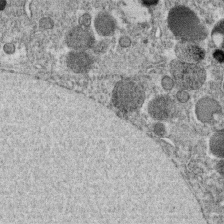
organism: C. elegans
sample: C. elegans oocyte; sperm cells